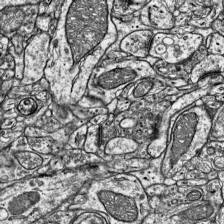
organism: Mouse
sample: Visual Cortex